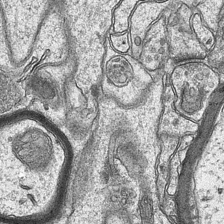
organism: Mouse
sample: CA1 Hippocampus